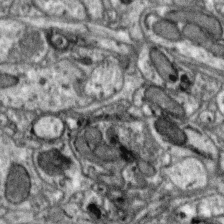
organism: Zebra finch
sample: Brain